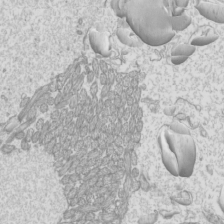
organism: Mouse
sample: Cilia; mouse epididymis